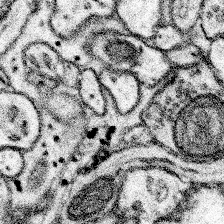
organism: Mouse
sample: Somatosensory cortex neuropil